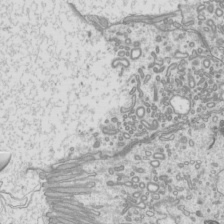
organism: Mouse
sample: Cilia; mouse epididymis